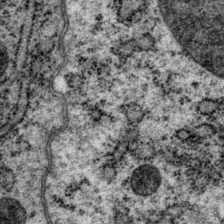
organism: P. pacificus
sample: Pharynx